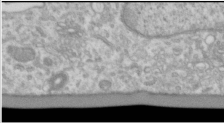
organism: Human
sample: Cilia; basal body in RPE cells